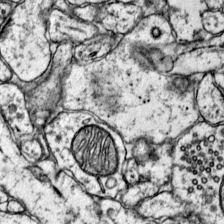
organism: Mouse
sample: Primary visual cortex